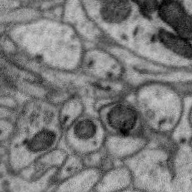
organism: Zebra finch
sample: Brain